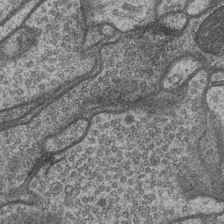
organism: Drosophila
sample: Optic medulla